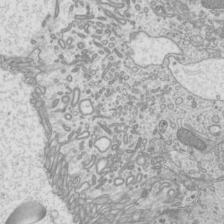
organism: Mouse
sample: Cilia; mouse epididymis